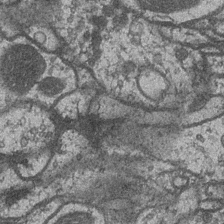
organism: Drosophila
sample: Optic medulla